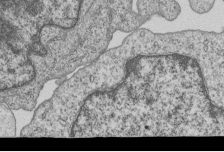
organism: Human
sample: MDA-MB-231 cells